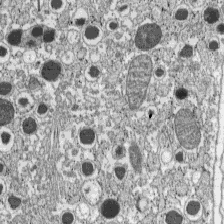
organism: C57BL Mouse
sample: Pancreatic islet